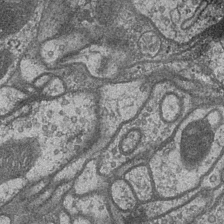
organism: Drosophila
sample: Optic medulla